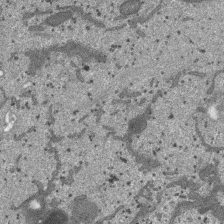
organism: Human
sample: Lung epithelial cells infected with SARS-CoV-2